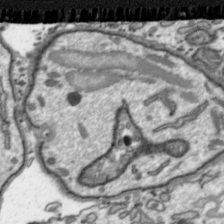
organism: Toxoplasma gondii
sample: Parasites in a vacuole inside a host cell